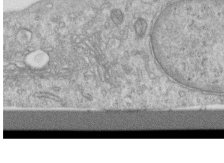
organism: Human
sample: Centriole in RPE cells